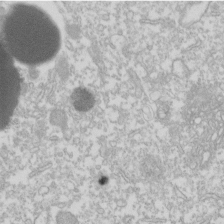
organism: Xenopus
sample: Cilia; centrioles in frog embryo cells